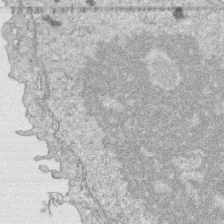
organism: Human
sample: HeLa cell HIV synapse